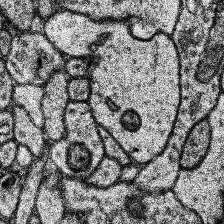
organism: Human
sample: Temporal Lobe